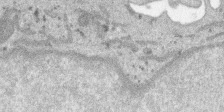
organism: Human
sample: Lung epithelial cells infected with SARS-CoV-2